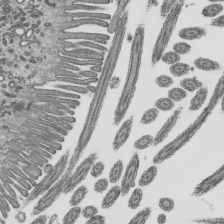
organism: Mouse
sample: Mouse epididymis efferent ductule cilia